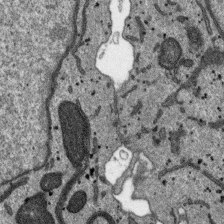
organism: Human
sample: Lung epithelial cells, uninfected (mock) control